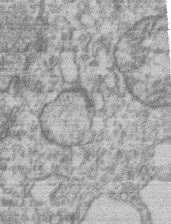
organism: Mouse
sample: T cell stromal cell synapse